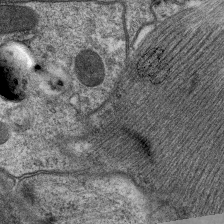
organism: C. elegans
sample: Pharynx